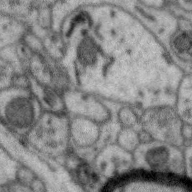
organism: Zebra finch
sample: Brain